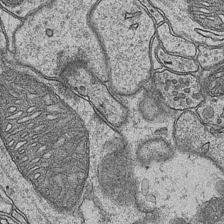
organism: Mouse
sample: CA1 Hippocampus